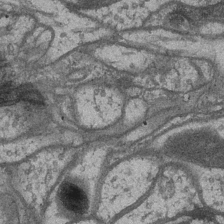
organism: Drosophila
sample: Optic medulla